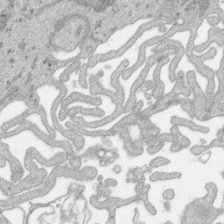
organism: Human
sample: Lung epithelial cells infected with SARS-CoV-2